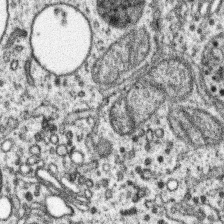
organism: Human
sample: HeLa cells